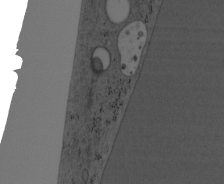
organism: Mouse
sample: OT-I killer T cells with ID8 ovarian cancer cells